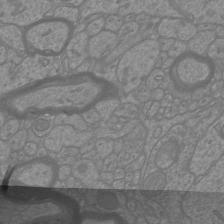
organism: Mouse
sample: Cortical neurons